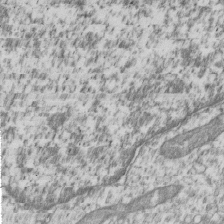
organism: Human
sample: MDA-MB-231 cells